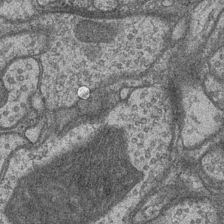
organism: Drosophila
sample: Optic medulla